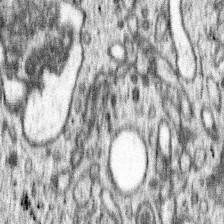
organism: Human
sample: HeLa cells